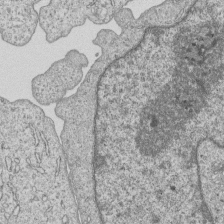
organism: Human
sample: MDA-MB-231 cells